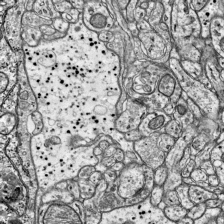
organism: Mouse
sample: Visual Cortex